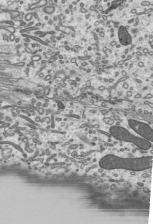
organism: Mouse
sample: Mouse epididymis efferent ductule cilia